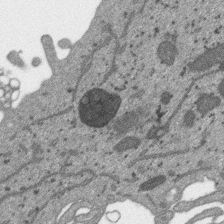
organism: Human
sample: Lung epithelial cells infected with SARS-CoV-2